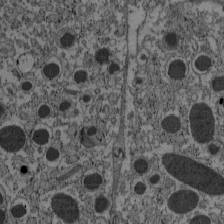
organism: C57BL Mouse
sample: Pancreatic islet